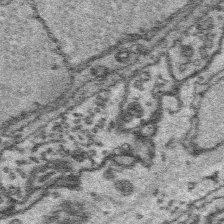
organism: Platynereis dumerilii